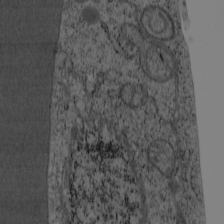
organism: African green monkey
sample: COS-7 cells